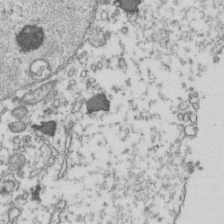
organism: Human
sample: Activated Jurkat CD4+ T cells